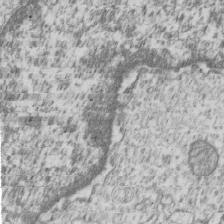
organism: Human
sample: MDA-MB-231 cells